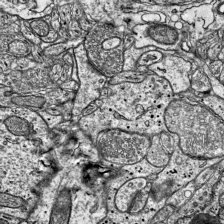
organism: Mouse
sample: Visual Cortex